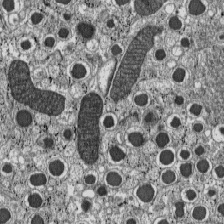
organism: C57BL Mouse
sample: Pancreatic islet